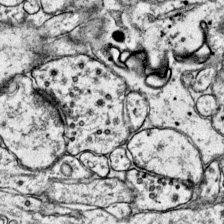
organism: Mouse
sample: Primary visual cortex